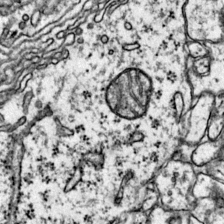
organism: Mouse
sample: Primary visual cortex